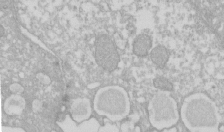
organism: Xenopus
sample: Cilia; centrioles in frog embryo cells